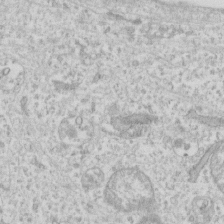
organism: Human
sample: Fibroblast cells